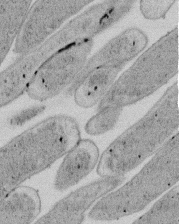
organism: E. coli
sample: Bacterial nucleoid